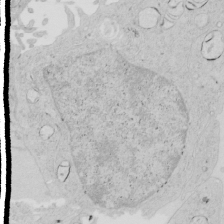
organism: Human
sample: Mitochondria in HCT116 cells